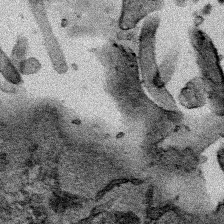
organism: Human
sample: Mitochondria in HCT116 cells